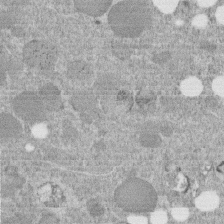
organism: C. elegans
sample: C. elegans embryo early stage